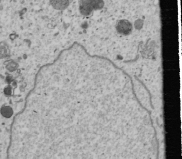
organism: Human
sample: Mitochondria in U2OS cells